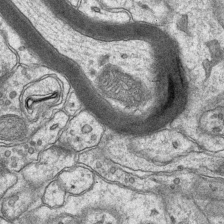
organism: Mouse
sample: CA1 Hippocampus